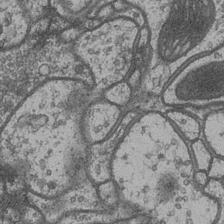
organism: Drosophila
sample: Optic medulla